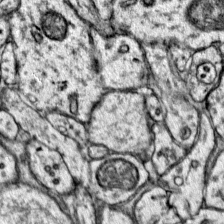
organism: Mouse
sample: Primary visual cortex